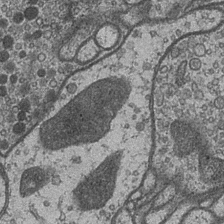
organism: Drosophila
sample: Optic medulla